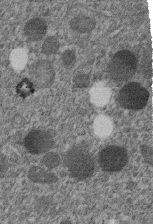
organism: C. elegans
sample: C. elegans embryo early stage